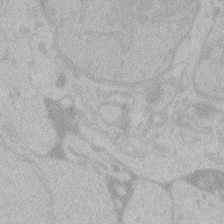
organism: Zebrafish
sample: Macrophage infected with Toxoplasma gondii